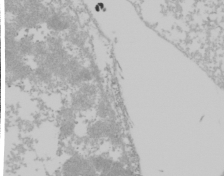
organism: Mouse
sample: Cancer cell death in ED-1 cells